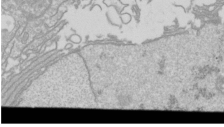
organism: Drosophila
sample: Cell division; meiosis; drosophila spermatocytes